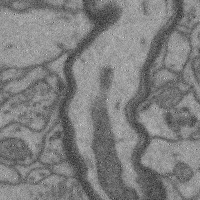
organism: Mouse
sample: Cerebral cortex